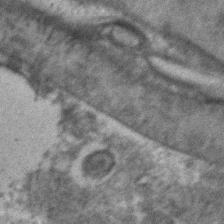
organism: C. elegans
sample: C. elegans embryo